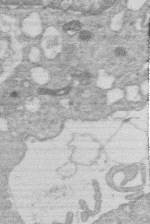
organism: Human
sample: Macrophage cells